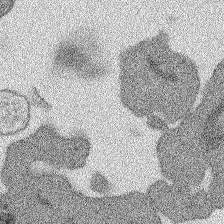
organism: Human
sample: HeLa cells